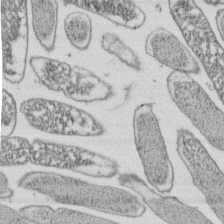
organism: E. coli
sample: Bacterial nucleoid